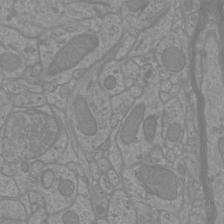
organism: Mouse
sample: Cortical neurons